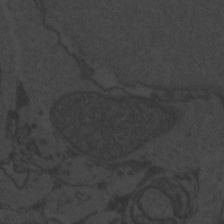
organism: Zebrafish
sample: Macrophage infected with Toxoplasma gondii